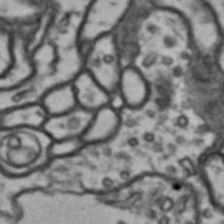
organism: Drosophila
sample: Brain